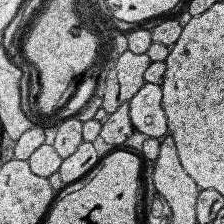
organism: Human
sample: Temporal Lobe